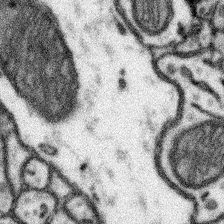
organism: Mouse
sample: Somatosensory cortex neuropil